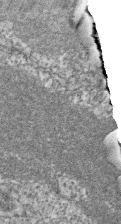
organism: Zebrafish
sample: Cilia; retinal pigment epithelium